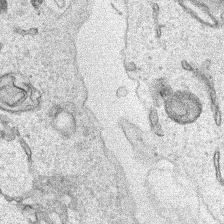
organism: Human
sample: Mitochondria in HCT116 cells